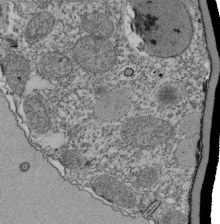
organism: Tetrahymena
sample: Cilia in tetrahymena